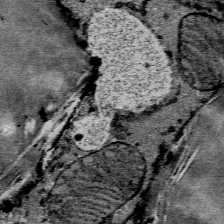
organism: Mouse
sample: Mouse Salivary gland